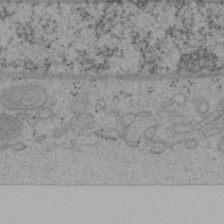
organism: Human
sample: HeLa cells